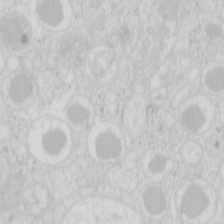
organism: Mouse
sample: Pancreas